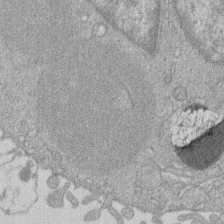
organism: Human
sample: Macrophage cells